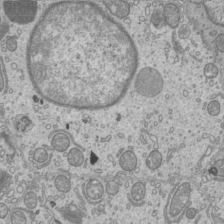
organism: Mouse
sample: Cilia; mouse epididymis